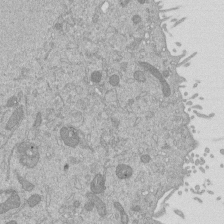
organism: Mouse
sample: ED-1 cell nuclei; centrioles